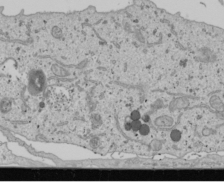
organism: Human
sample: Mitochondria in U2OS cells